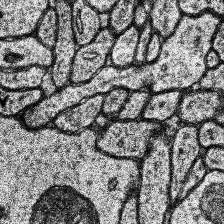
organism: Human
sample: Temporal Lobe